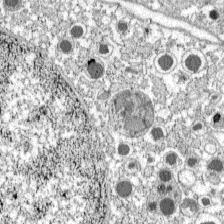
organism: C57BL Mouse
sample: Pancreatic islet